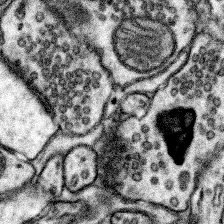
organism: Mouse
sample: Somatosensory cortex neuropil